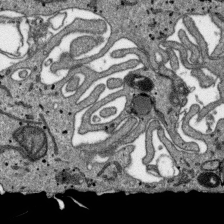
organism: Human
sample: Lung epithelial cells, uninfected (mock) control